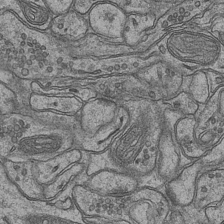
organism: Mouse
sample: CA1 Hippocampus